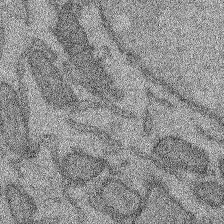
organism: Human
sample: HeLa cells